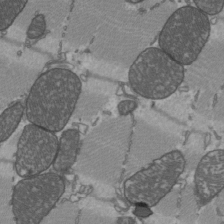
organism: C57BL Mouse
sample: Heart